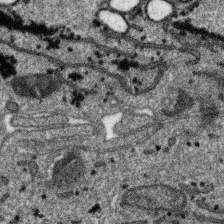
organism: Human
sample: Lung epithelial cells infected with SARS-CoV-2